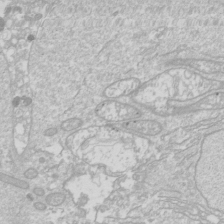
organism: Drosophila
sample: Cell division; meiosis; drosophila spermatocytes